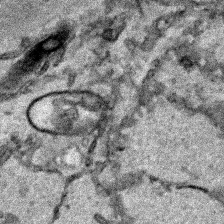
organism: Human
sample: Mitochondria in HCT116 cells